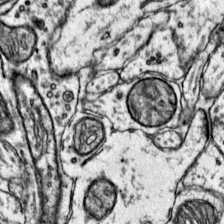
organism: Mouse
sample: Primary visual cortex